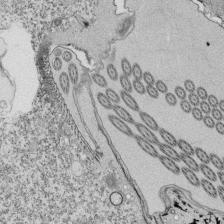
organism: Tetrahymena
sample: Cilia in tetrahymena